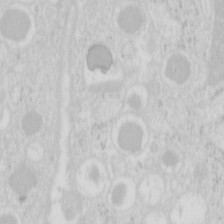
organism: Mouse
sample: Pancreas